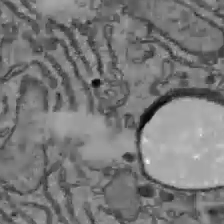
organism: C57BL Mouse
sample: Liver